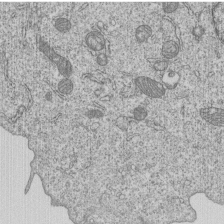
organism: Human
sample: MDA-MB-231 cells